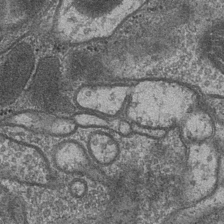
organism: Drosophila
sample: Optic medulla